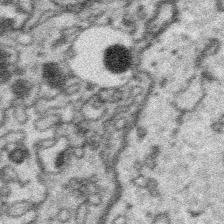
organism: Platynereis dumerilii